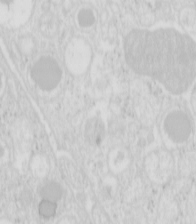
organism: Mouse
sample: Pancreas